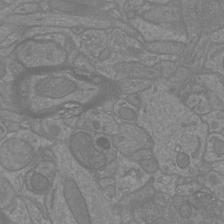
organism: Mouse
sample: Cortical neurons